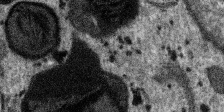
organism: Human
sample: Lung epithelial cells infected with SARS-CoV-2